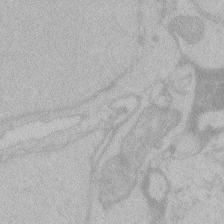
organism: Zebrafish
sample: Macrophage infected with Toxoplasma gondii